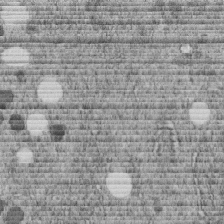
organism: C. elegans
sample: C. elegans embryo early stage